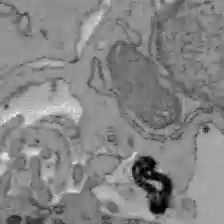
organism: C57BL Mouse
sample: Liver